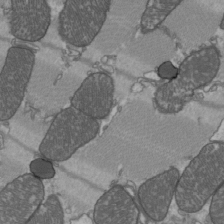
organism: C57BL Mouse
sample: Heart